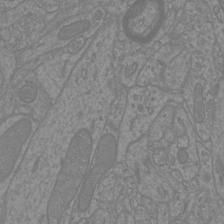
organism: Mouse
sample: Cortical neurons